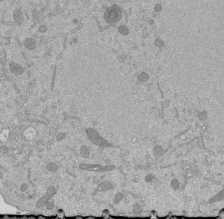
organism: Mouse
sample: ED-1 cell nuclei; centrioles